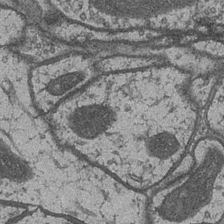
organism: Drosophila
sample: Optic medulla